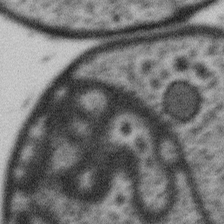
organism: Gemmata obscuriglobus